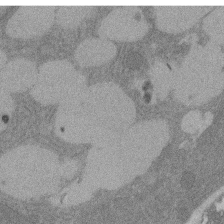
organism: Rat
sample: Salivary granule